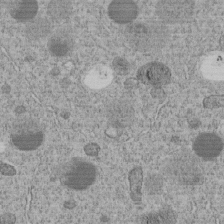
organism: C. elegans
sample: C. elegans embryo early stage